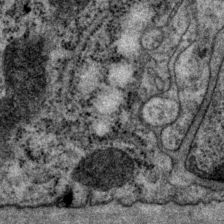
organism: P. pacificus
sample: Pharynx